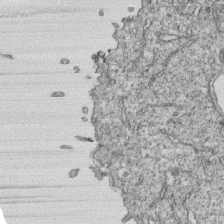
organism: Human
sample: HeLa cell HIV synapse